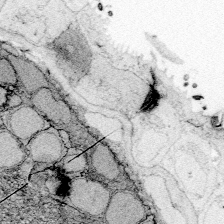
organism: Zebrafish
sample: Whole-Brain